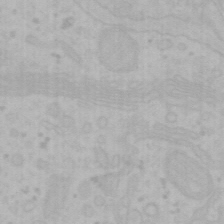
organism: Mouse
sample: Choroid plexus